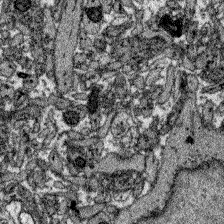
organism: Zebrafish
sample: Larval olfactory bulb